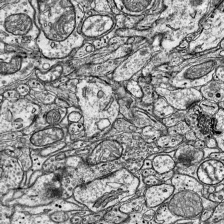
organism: Mouse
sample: Visual Cortex